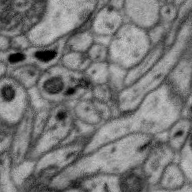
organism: Zebra finch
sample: Brain